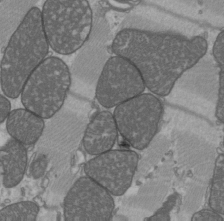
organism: C57BL Mouse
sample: Heart